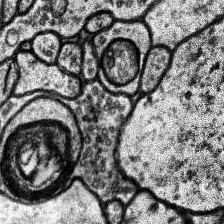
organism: Human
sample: Temporal Lobe